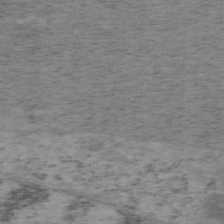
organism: Mouse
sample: OT-I killer T cells with ID8 ovarian cancer cells